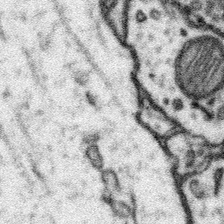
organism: Mouse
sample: Somatosensory cortex neuropil